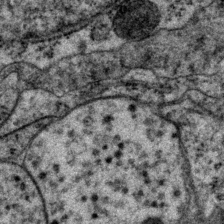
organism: P. pacificus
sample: Pharynx